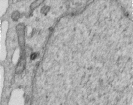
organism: Human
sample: Centriole in RPE cells